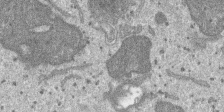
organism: Human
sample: Lung epithelial cells infected with SARS-CoV-2